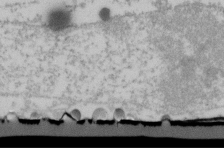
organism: Human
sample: U2-OS cells